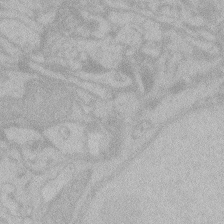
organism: Zebrafish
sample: Macrophage infected with Toxoplasma gondii